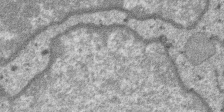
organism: Human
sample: Lung epithelial cells infected with SARS-CoV-2